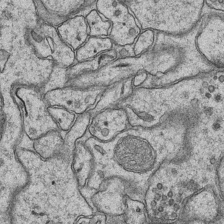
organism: Mouse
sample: CA1 Hippocampus